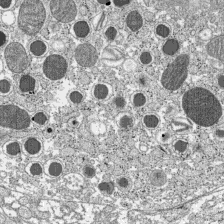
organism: C57BL Mouse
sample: Pancreatic islet